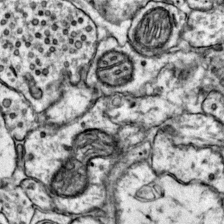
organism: Mouse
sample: Primary visual cortex